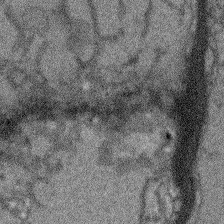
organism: Arabidopsis thaliana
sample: Root tip